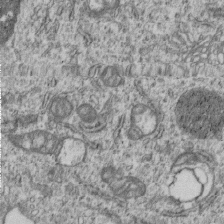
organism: Human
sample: MDA-MB-231 cells